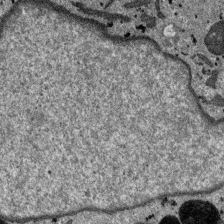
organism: Human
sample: Lung epithelial cells, uninfected (mock) control